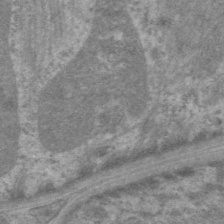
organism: C. elegans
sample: Pharynx